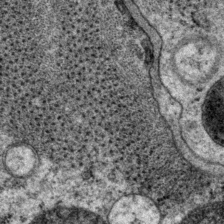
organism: P. pacificus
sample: Pharynx